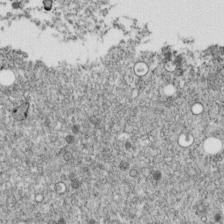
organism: C. elegans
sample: C. elegans embryo early stage